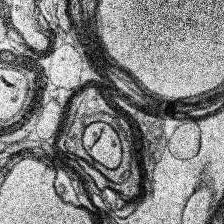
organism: Human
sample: Temporal Lobe